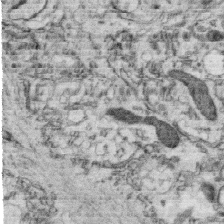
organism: C. elegans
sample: C. elegans oocyte; sperm cells